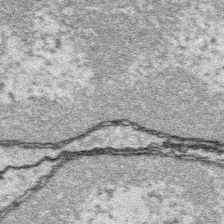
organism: Platynereis dumerilii